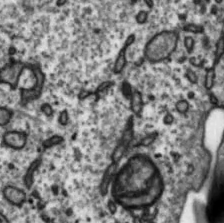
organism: Human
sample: HeLa cells